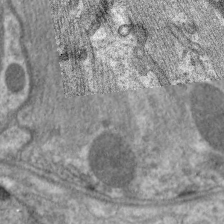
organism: C. elegans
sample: Pharynx